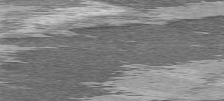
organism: C57BL Mouse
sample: Heart